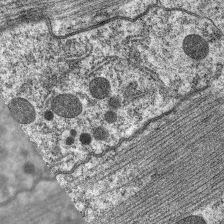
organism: C. elegans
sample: Pharynx